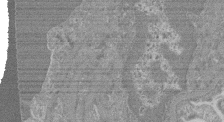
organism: Mouse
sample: Glomerulus